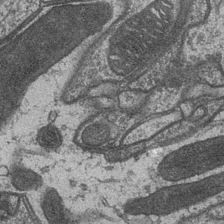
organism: Drosophila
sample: Optic medulla